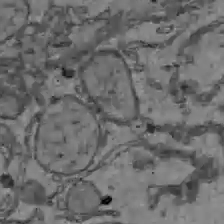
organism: C57BL Mouse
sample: Liver